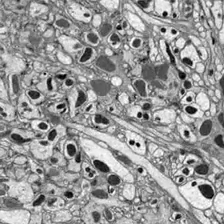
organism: Drosophila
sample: Optic lobe